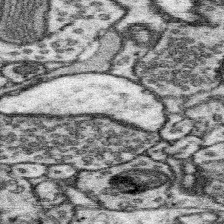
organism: Mouse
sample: Somatosensory cortex neuropil